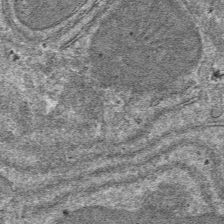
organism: Mouse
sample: Mouse hepatocytes